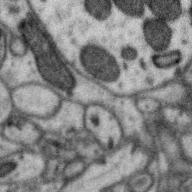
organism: Zebra finch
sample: Brain